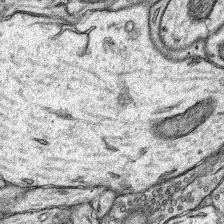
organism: Rat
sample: Hippocampus